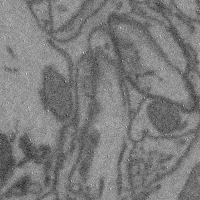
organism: Mouse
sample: Cerebral cortex